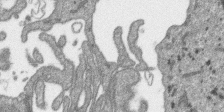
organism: Human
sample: Lung epithelial cells infected with SARS-CoV-2